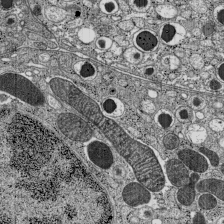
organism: C57BL Mouse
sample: Pancreatic islet